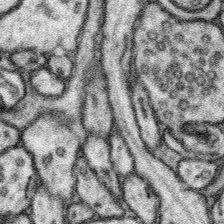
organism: Mouse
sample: Somatosensory cortex neuropil